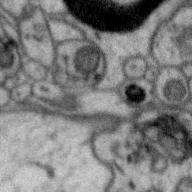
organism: Zebra finch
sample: Brain